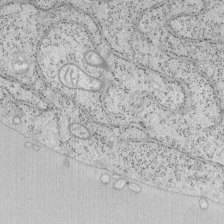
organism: Mouse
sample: OT-I killer T cells with ID8 ovarian cancer cells